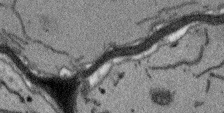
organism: Arabidopsis thaliana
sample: Root tip